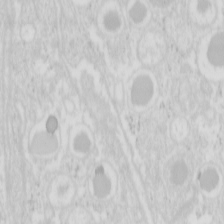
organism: Mouse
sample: Pancreas